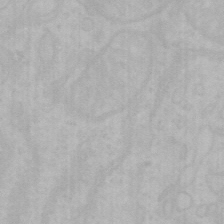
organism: Mouse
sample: Choroid plexus